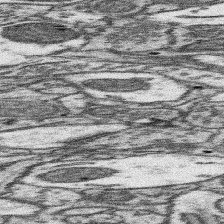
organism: Mouse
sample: Somatosensory cortex neuropil